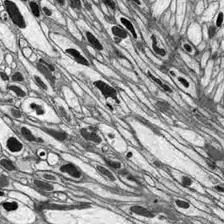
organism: Drosophila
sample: Optic lobe